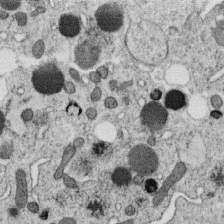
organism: C. elegans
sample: C. elegans oocyte; sperm cells